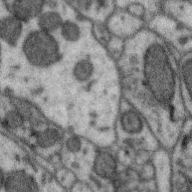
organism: Zebra finch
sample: Brain